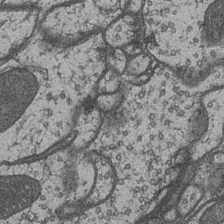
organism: Drosophila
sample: Optic medulla